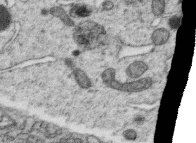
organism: C. elegans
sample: C. elegans oocyte; sperm cells